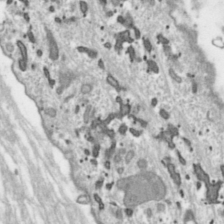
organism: Toxoplasma gondii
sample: Parasites in a vacuole inside a host cell